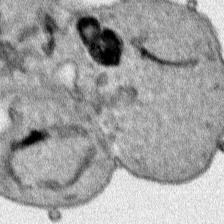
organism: Human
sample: Mitochondria in HCT116 cells